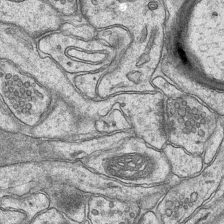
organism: Mouse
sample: CA1 Hippocampus